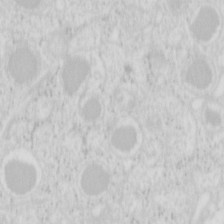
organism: Mouse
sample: Pancreas